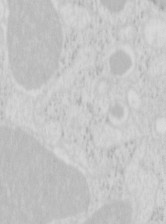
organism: Mouse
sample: Pancreas